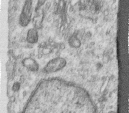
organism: Human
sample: Centriole in RPE cells